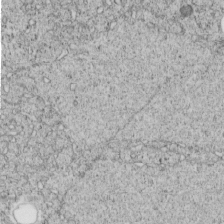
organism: C. elegans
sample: C. elegans embryo early stage